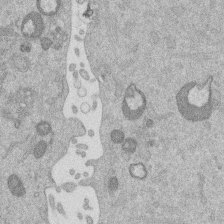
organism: Mouse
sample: Dividing mouse embryo 1 cell stage